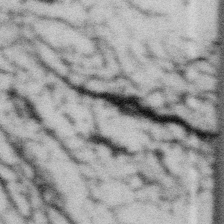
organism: Gemmata obscuriglobus